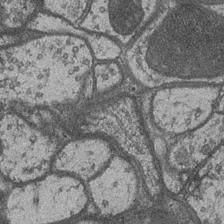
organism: Drosophila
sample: Optic medulla